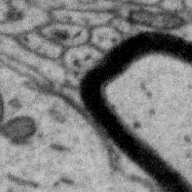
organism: Zebra finch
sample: Brain